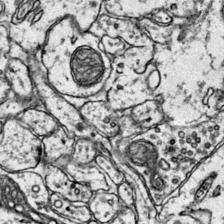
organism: Mouse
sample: Primary visual cortex